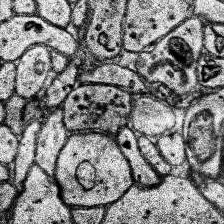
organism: Human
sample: Temporal Lobe